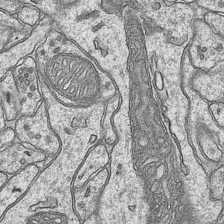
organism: Mouse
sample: CA1 Hippocampus